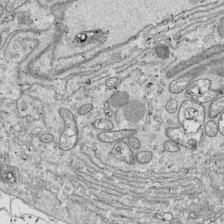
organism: Drosophila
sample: Cell division; meiosis; drosophila spermatocytes